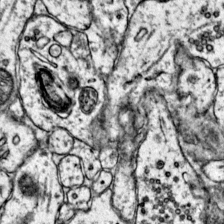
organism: Mouse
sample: Primary visual cortex